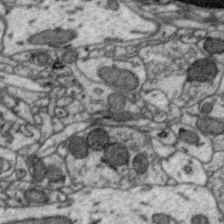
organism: Zebra finch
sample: Brain